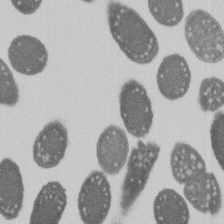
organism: E. coli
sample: Bacterial nucleoid